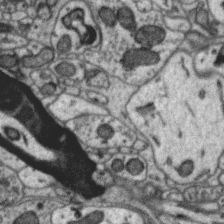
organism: Zebra finch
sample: Brain